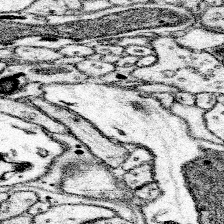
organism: Mouse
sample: Somatosensory cortex neuropil